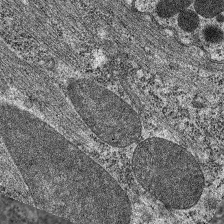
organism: C. elegans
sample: Pharynx